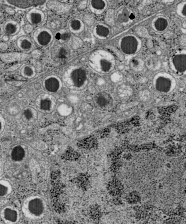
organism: C57BL Mouse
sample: Pancreatic islet